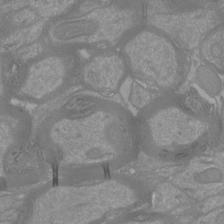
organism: Mouse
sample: Cortical neurons